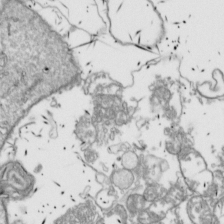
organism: Drosophila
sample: Cell division; meiosis; drosophila spermatocytes